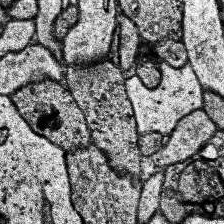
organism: Human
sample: Temporal Lobe